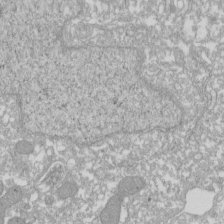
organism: Xenopus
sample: Cilia; centrioles in frog embryo cells